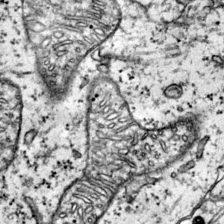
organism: Mouse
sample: Primary visual cortex